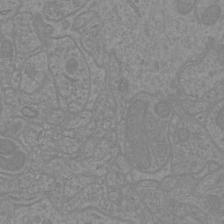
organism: Mouse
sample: Cortical neurons